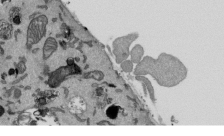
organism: Mouse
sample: ED-1 cell nuclei; centrioles